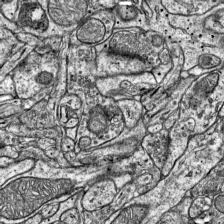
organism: Mouse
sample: Visual Cortex